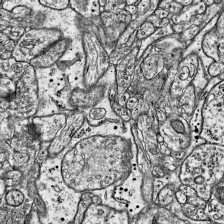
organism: Mouse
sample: Visual Cortex